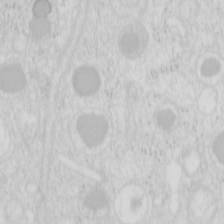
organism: Mouse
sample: Pancreas